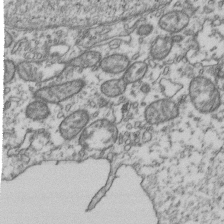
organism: Human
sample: Activated Jurkat CD4+ T cells